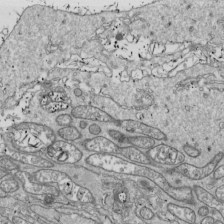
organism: Drosophila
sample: Cell division; meiosis; drosophila spermatocytes